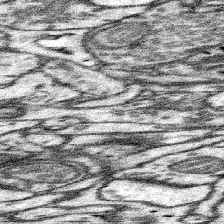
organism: Mouse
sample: Somatosensory cortex neuropil